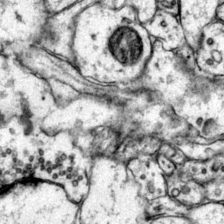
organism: Mouse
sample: Primary visual cortex